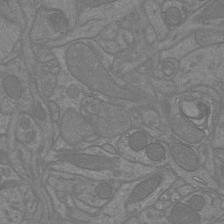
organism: Mouse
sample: Cortical neurons